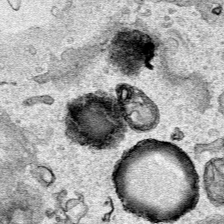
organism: Human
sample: Mitochondria in HCT116 cells